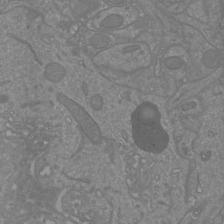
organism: Mouse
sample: Cortical neurons